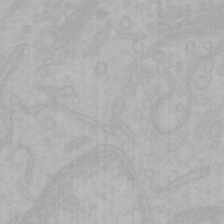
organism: Mouse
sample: Choroid plexus